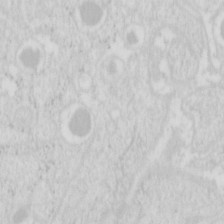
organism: Mouse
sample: Pancreas